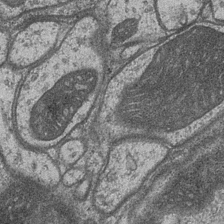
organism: Drosophila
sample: Optic medulla